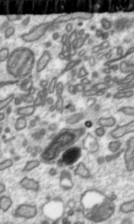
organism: Toxoplasma gondii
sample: Parasites in a vacuole inside a host cell